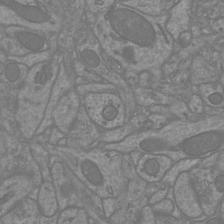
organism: Mouse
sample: Cortical neurons